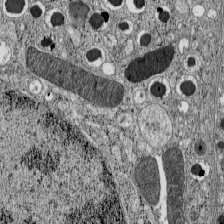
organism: C57BL Mouse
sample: Pancreatic islet